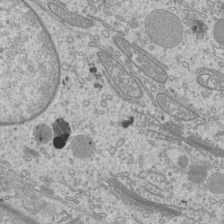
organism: Mouse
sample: Cilia; mouse epididymis